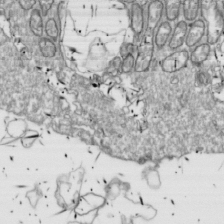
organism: Drosophila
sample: Cell division; meiosis; drosophila spermatocytes